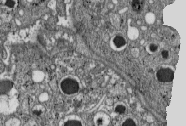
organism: C57BL Mouse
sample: Pancreatic islet